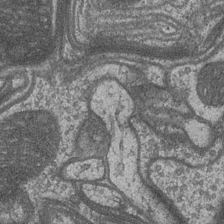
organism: Drosophila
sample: Optic medulla